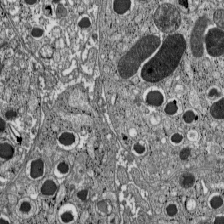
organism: C57BL Mouse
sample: Pancreatic islet